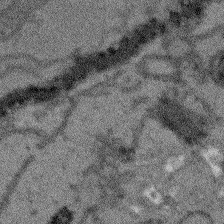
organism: Arabidopsis thaliana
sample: Root tip